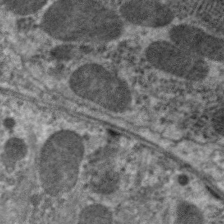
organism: C. elegans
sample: Pharynx